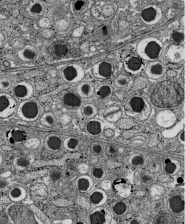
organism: C57BL Mouse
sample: Pancreatic islet